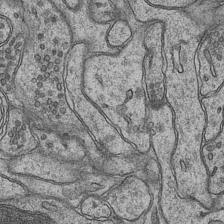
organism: Mouse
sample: CA1 Hippocampus